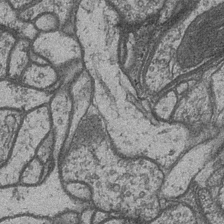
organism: Drosophila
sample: Optic medulla